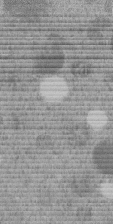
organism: C. elegans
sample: C. elegans embryo early stage